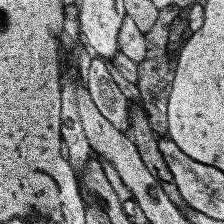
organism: Human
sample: Temporal Lobe